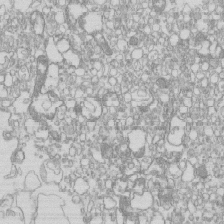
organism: Mouse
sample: Macrophages